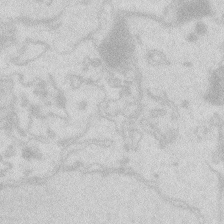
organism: Zebrafish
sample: Macrophage